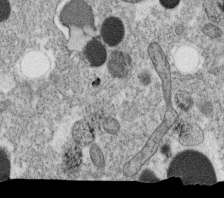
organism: C. elegans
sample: C. elegans oocyte; sperm cells